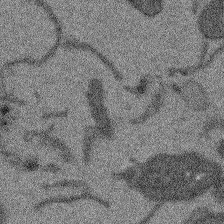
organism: Arabidopsis thaliana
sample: Root tip